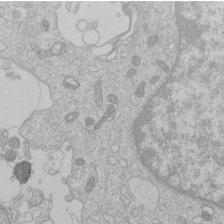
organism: Human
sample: Macrophage cells